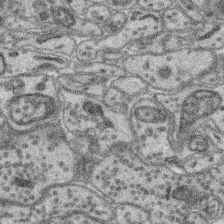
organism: Mouse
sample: Retina